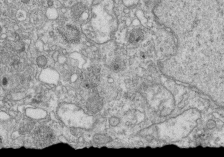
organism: Human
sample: HeLa cell HIV synapse